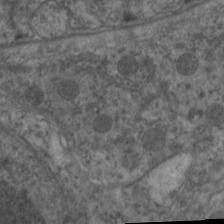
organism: C. elegans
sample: Pharynx